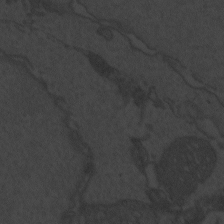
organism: Zebrafish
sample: Macrophage infected with Toxoplasma gondii